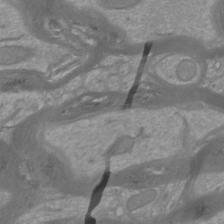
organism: Mouse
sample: Cortical neurons